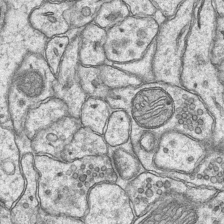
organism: Mouse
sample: CA1 Hippocampus